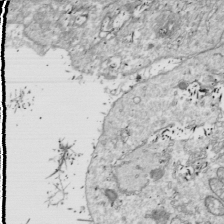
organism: Drosophila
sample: Cell division; meiosis; drosophila spermatocytes